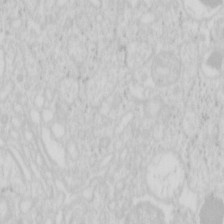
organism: Mouse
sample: Pancreas